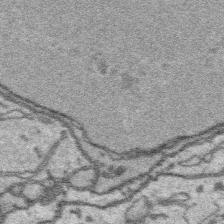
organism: Platynereis dumerilii